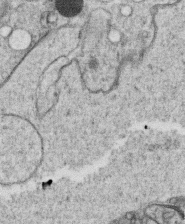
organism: C. elegans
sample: C. elegans oocyte; sperm cells